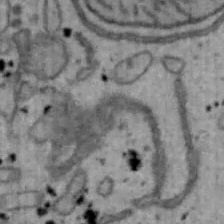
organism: Mouse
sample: Liver